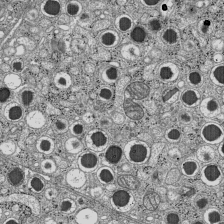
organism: C57BL Mouse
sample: Pancreatic islet